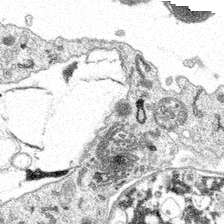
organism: Spongilla lacustris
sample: Multiple